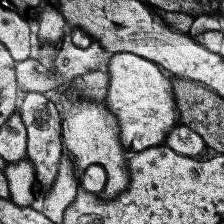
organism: Human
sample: Temporal Lobe